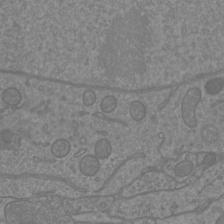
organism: Mouse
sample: Cortical neurons